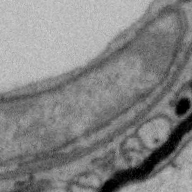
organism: Zebra finch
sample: Brain